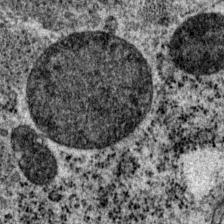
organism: P. pacificus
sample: Pharynx